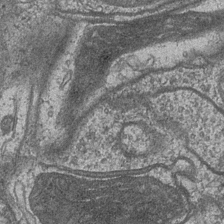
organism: Drosophila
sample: Optic medulla